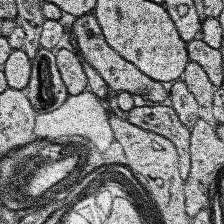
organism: Human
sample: Temporal Lobe